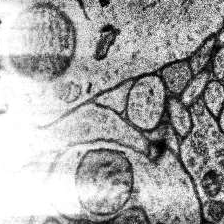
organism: Human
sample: Temporal Lobe